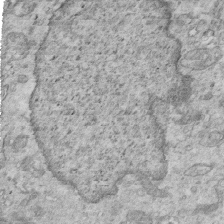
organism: Mouse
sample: Multiciliated cells